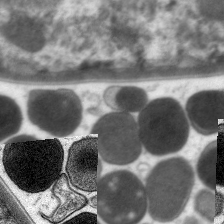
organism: C. elegans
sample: Pharynx